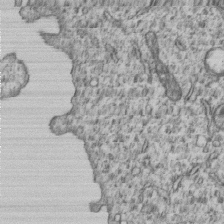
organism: Human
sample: MDA-MB-231 cells